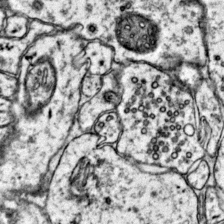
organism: Mouse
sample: Primary visual cortex